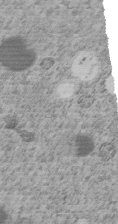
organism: C. elegans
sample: C. elegans embryo early stage